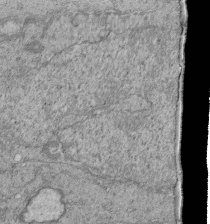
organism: Human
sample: Retinal organoid Rod and Cone cells